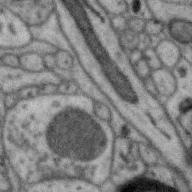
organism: Zebra finch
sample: Brain